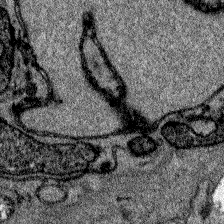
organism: Zebrafish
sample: Larval olfactory bulb